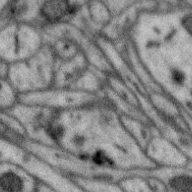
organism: Zebra finch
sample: Brain